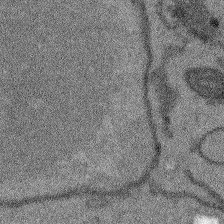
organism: Arabidopsis thaliana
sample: Root tip